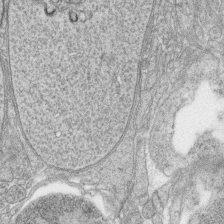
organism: Zebrafish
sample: synaptic ribbons in rod cells and cone cells